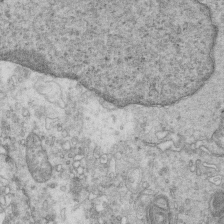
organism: Mouse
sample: Multiciliated cells